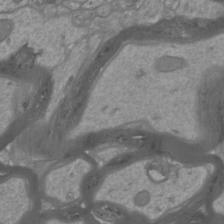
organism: Mouse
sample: Cortical neurons